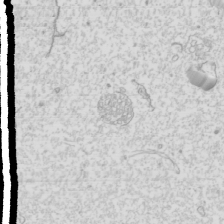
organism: Mouse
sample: Cilia; mouse epididymis